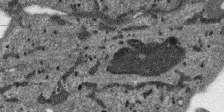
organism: Human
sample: Lung epithelial cells infected with SARS-CoV-2